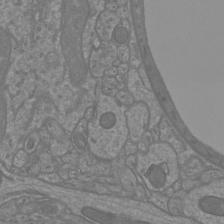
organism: Mouse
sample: Cortical neurons